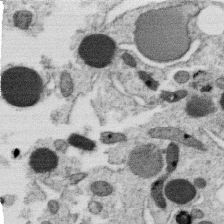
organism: C. elegans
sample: C. elegans oocyte; sperm cells